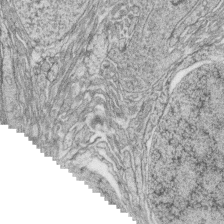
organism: Zebrafish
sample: synaptic ribbons in rod cells and cone cells